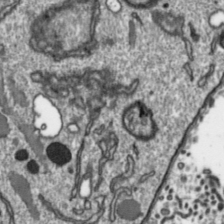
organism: Toxoplasma gondii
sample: Parasites in a vacuole inside a host cell